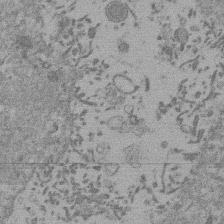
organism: Mouse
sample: Dividing mouse embryo 1 cell stage